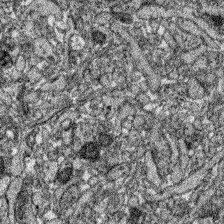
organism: Zebrafish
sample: Larval olfactory bulb